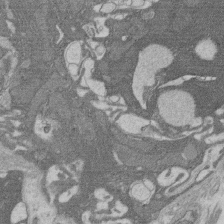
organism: Rat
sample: Salivary granule